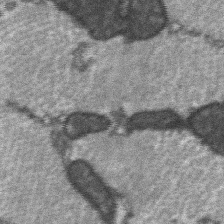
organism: C57BL Mouse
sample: Soleus